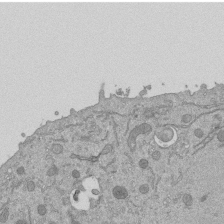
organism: Mouse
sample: ED-1 cell nuclei; centrioles